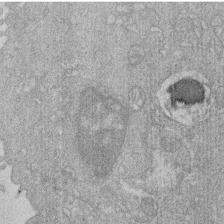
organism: Human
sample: Macrophage cells